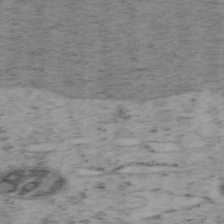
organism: Mouse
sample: OT-I killer T cells with ID8 ovarian cancer cells